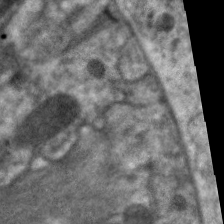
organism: C. elegans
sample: Pharynx